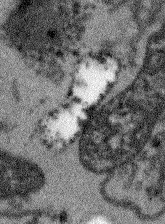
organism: Arabidopsis thaliana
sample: Root tip